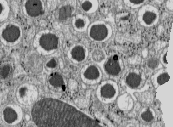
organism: C57BL Mouse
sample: Pancreatic islet